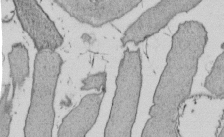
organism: E. coli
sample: Bacterial nucleoid